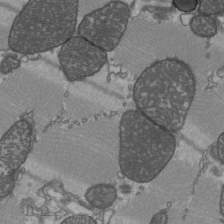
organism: C57BL Mouse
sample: Heart